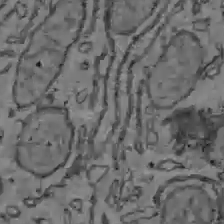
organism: C57BL Mouse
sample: Liver